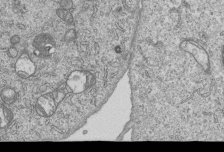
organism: Human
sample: MDA-MB-231 cells